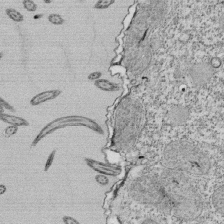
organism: Tetrahymena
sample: Cilia in tetrahymena